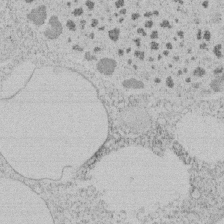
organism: Tetrahymena